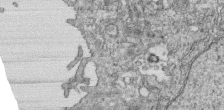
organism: Human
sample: HeLa cell HIV synapse